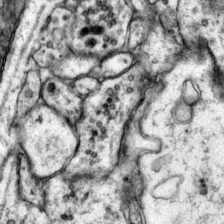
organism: Mouse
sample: Primary visual cortex